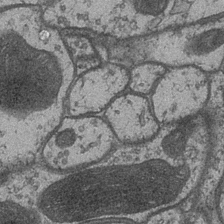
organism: Drosophila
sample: Optic medulla